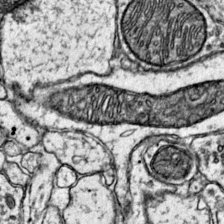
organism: Mouse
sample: Primary visual cortex